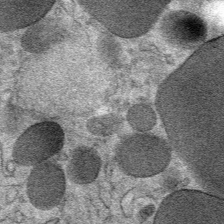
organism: Mouse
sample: Mouse Salivary gland